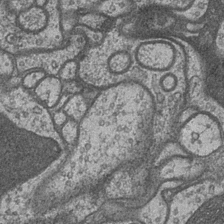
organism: Drosophila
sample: Optic medulla